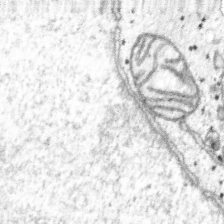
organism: Human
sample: HeLa cells